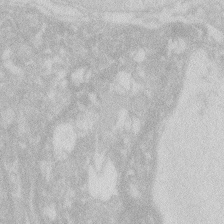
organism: Zebrafish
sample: Macrophage